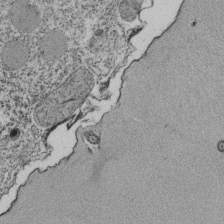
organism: Tetrahymena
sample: Cilia in tetrahymena